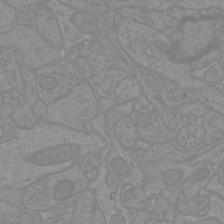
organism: Mouse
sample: Cortical neurons